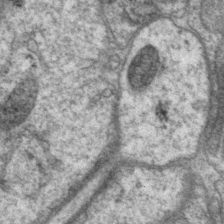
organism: P. pacificus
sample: Pharynx